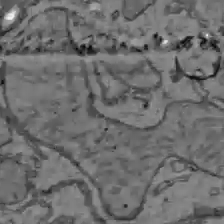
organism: C57BL Mouse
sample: Liver